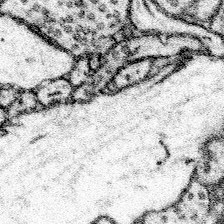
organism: Mouse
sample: Somatosensory cortex neuropil